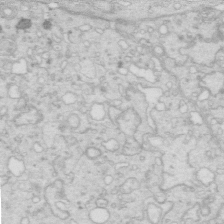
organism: Mouse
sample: Multiciliated cells